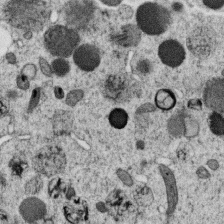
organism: C. elegans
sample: C. elegans oocyte; sperm cells